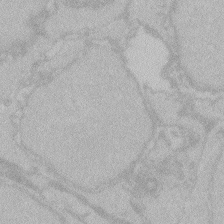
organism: Zebrafish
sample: Macrophage infected with Toxoplasma gondii